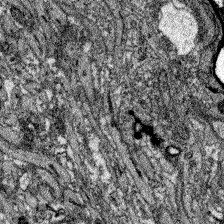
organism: Zebrafish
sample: Larval olfactory bulb